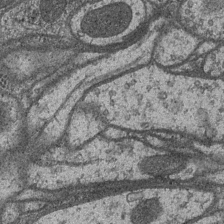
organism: Drosophila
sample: Optic medulla